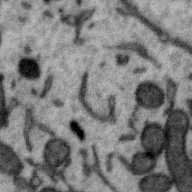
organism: Zebra finch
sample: Brain